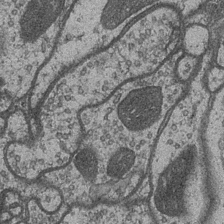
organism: Drosophila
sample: Optic medulla